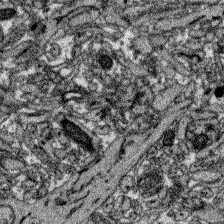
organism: Zebrafish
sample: Larval olfactory bulb